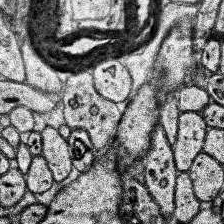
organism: Human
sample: Temporal Lobe